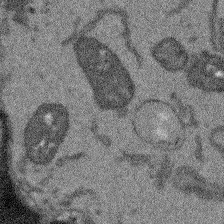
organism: Arabidopsis thaliana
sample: Root tip